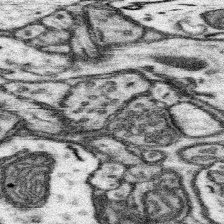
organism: Mouse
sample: Somatosensory cortex neuropil